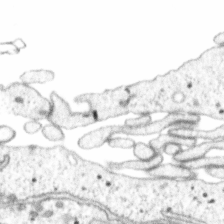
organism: Human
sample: HeLa cells